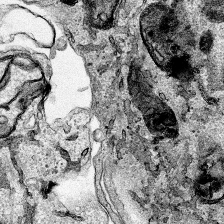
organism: Human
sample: Mitochondria in HCT116 cells